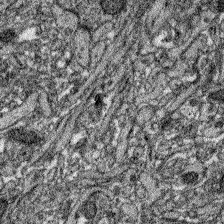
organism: Zebrafish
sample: Larval olfactory bulb